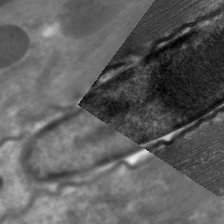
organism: C. elegans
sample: Pharynx